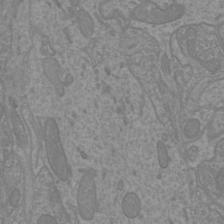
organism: Mouse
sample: Cortical neurons